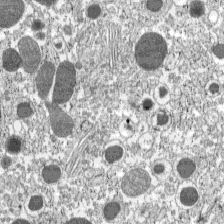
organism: C57BL Mouse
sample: Pancreatic islet